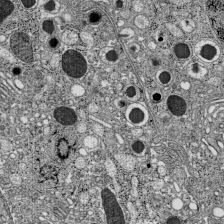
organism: C57BL Mouse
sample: Pancreatic islet